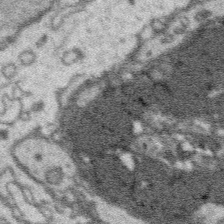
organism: Platynereis dumerilii